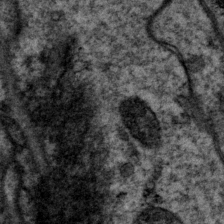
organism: P. pacificus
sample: Pharynx